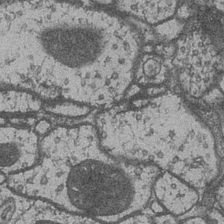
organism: Drosophila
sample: Optic medulla